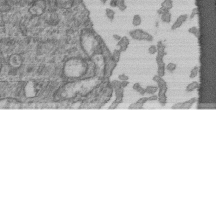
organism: Human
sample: Retinal organoid Rod and Cone cells